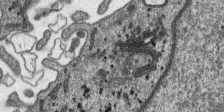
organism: Human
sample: Lung epithelial cells infected with SARS-CoV-2